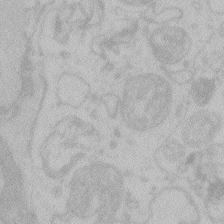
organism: Zebrafish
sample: Macrophage infected with Toxoplasma gondii